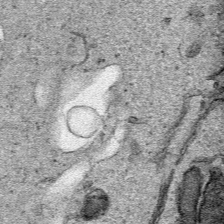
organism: Human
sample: Mitochondria in HCT116 cells